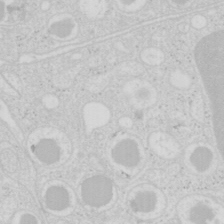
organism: Mouse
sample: Pancreas